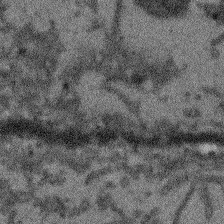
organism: Arabidopsis thaliana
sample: Root tip